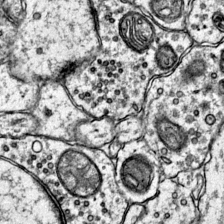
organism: Mouse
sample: Primary visual cortex